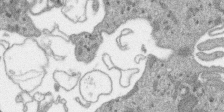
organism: Human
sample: Lung epithelial cells infected with SARS-CoV-2